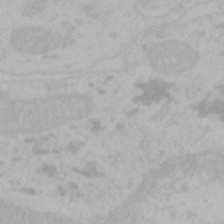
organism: Mouse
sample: Choroid plexus